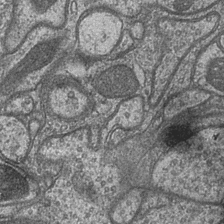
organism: Drosophila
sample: Optic medulla